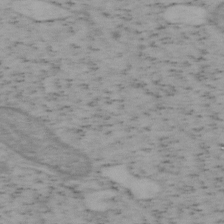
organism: Mouse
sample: OT-I killer T cells with ID8 ovarian cancer cells